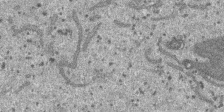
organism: Human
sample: Lung epithelial cells infected with SARS-CoV-2